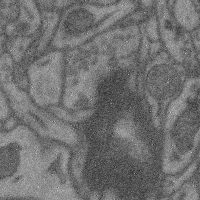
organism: Mouse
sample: Cerebral cortex